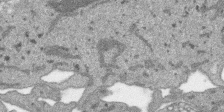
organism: Human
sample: Lung epithelial cells infected with SARS-CoV-2